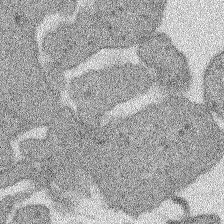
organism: Human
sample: HeLa cells